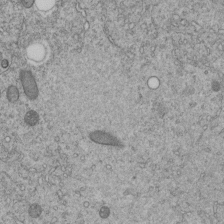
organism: C. elegans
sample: C. elegans embryo early stage